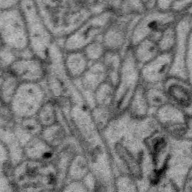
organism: Zebra finch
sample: Brain